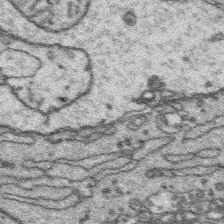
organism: Platynereis dumerilii